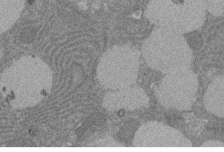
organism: Rat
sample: Salivary granule